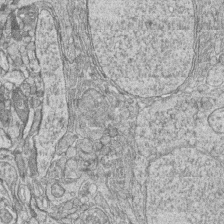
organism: Zebrafish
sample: synaptic ribbons in rod cells and cone cells